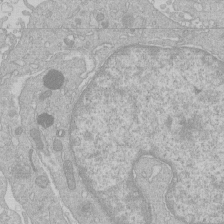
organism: Human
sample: Macrophage cells